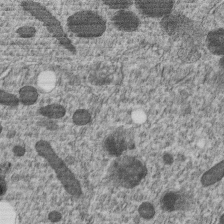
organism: C. elegans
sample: C. elegans embryo early stage